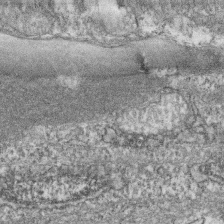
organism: Zebrafish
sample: Cilia; retinal pigment epithelium